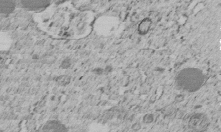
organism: C. elegans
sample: C. elegans embryo early stage